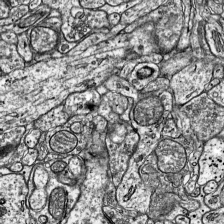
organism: Mouse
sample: Visual Cortex